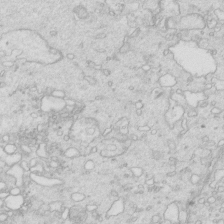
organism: Mouse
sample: Multiciliated cells